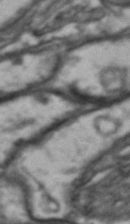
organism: Drosophila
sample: Brain